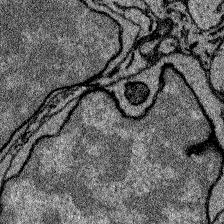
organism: Zebrafish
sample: Larval olfactory bulb